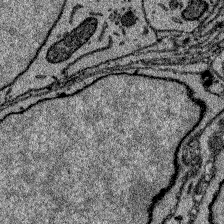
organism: Zebrafish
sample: Larval olfactory bulb